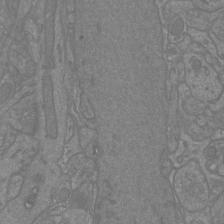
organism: Mouse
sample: Cortical neurons